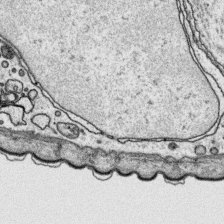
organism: Platynereis dumerilii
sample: Parapodia